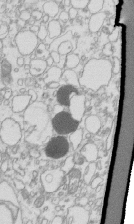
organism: Mouse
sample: Macrophages